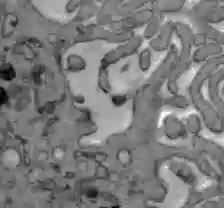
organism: C57BL Mouse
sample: Liver